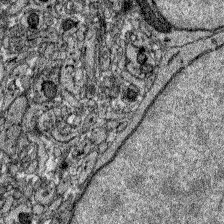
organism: Zebrafish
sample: Larval olfactory bulb